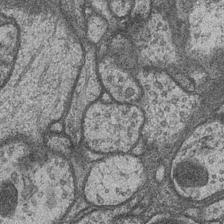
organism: Drosophila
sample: Optic medulla